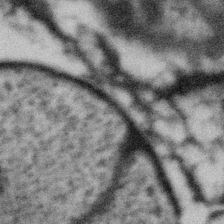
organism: Gemmata obscuriglobus